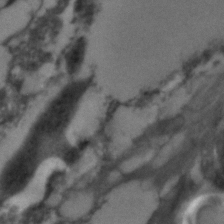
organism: C. elegans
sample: C. elegans embryo